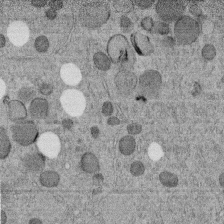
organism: C. elegans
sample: C. elegans embryo early stage